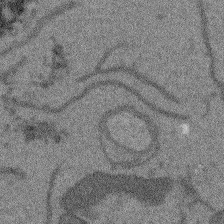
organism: Arabidopsis thaliana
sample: Root tip